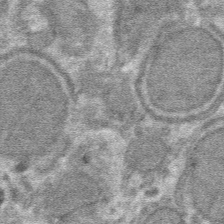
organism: Mouse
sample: Mouse hepatocytes